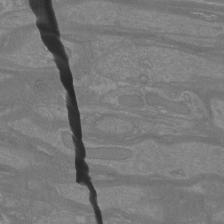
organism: Mouse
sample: Cortical neurons